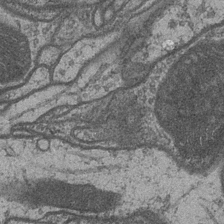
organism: Drosophila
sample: Optic medulla